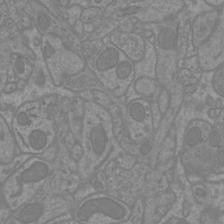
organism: Mouse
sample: Cortical neurons